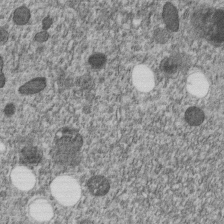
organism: C. elegans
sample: C. elegans embryo early stage